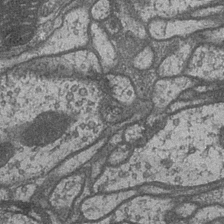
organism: Drosophila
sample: Optic medulla